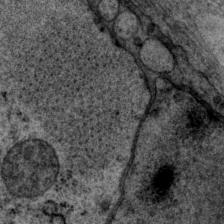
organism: P. pacificus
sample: Pharynx